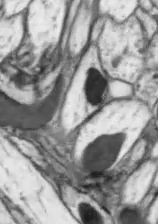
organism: Drosophila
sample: Optic lobe